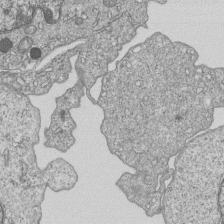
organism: Human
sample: MDA-MB-231 cells